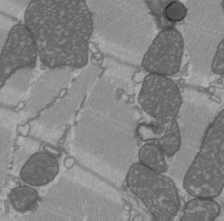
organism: C57BL Mouse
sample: Heart